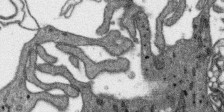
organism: Human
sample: Lung epithelial cells, uninfected (mock) control